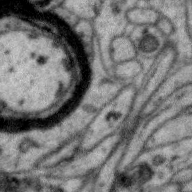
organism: Zebra finch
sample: Brain